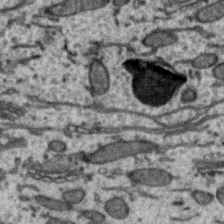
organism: Zebra finch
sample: Brain